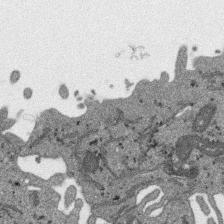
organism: Human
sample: Lung epithelial cells infected with SARS-CoV-2